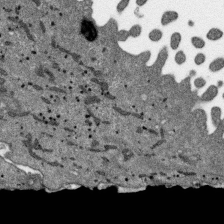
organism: Human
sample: Lung epithelial cells, uninfected (mock) control